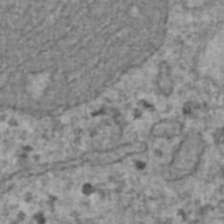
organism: Human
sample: Blood